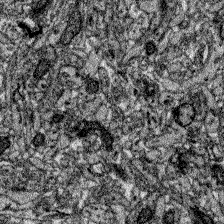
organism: Zebrafish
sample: Larval olfactory bulb